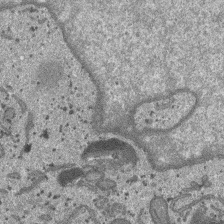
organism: Human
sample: Lung epithelial cells infected with SARS-CoV-2